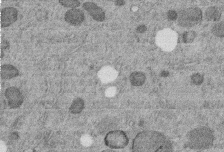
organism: C. elegans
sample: C. elegans embryo early stage